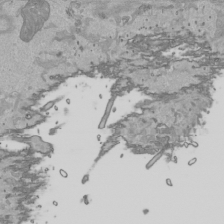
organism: Human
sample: Mitochondria in HCT116 cells